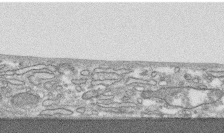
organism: Human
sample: CRL-1474